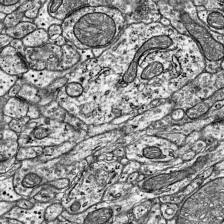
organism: Mouse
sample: Visual Cortex